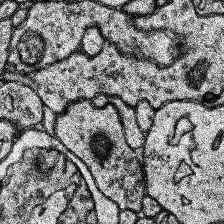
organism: Human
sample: Temporal Lobe